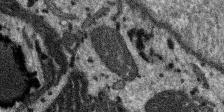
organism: Human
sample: Lung epithelial cells infected with SARS-CoV-2